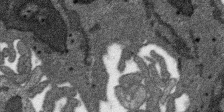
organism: Human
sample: Lung epithelial cells infected with SARS-CoV-2